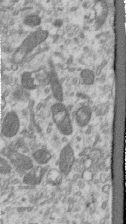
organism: Human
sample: Centriole in RPE cells